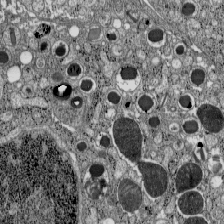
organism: C57BL Mouse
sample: Pancreatic islet